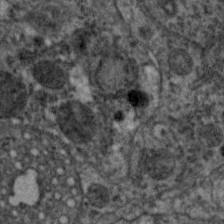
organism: C. elegans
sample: Pharynx